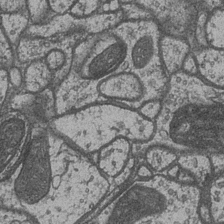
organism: Drosophila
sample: Optic medulla